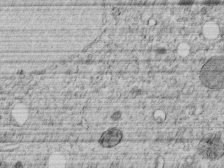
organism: C. elegans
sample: C. elegans embryo early stage